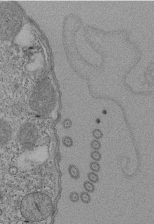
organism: Tetrahymena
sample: Cilia in tetrahymena